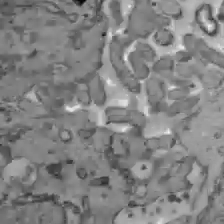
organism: C57BL Mouse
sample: Liver